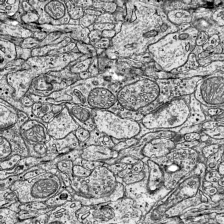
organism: Mouse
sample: Visual Cortex